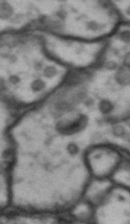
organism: Drosophila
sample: Brain